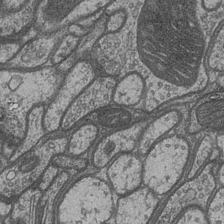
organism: Drosophila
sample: Optic medulla